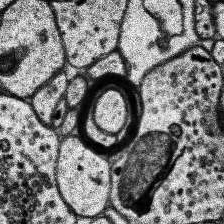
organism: Human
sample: Temporal Lobe